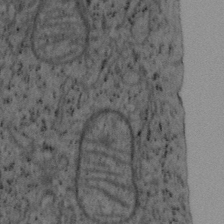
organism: Human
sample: HeLa cells